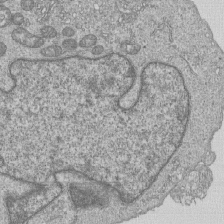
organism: Human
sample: MDA-MB-231 cells